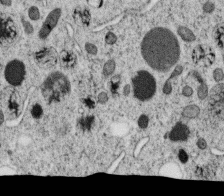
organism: C. elegans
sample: C. elegans oocyte; sperm cells